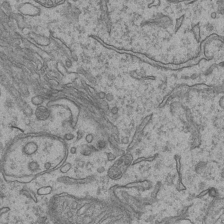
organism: Mouse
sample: CA1 Hippocampus